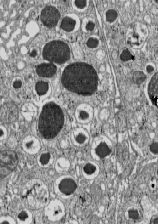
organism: C57BL Mouse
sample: Pancreatic islet